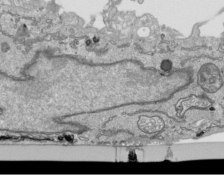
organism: Human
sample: Mitochondria in HCT116 cells